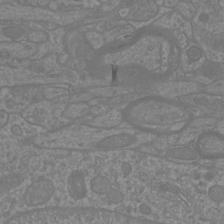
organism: Mouse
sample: Cortical neurons